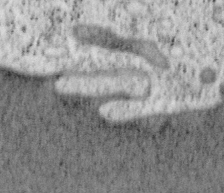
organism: Mouse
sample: OT-I killer T cells with ID8 ovarian cancer cells